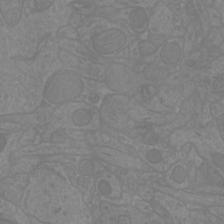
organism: Mouse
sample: Cortical neurons